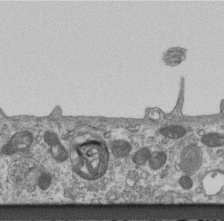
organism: Mouse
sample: Centriole in ependymal cells